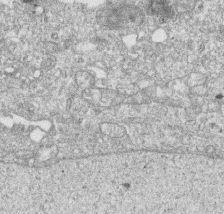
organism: Human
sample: HeLa cell HIV synapse